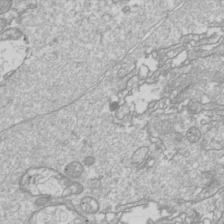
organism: Drosophila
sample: Cell division; meiosis; drosophila spermatocytes